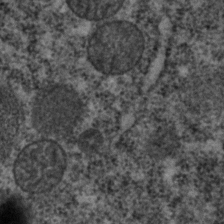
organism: C. elegans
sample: C. elegans embryo